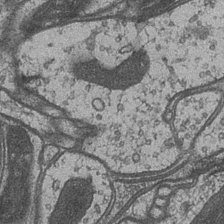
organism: Drosophila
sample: Optic medulla